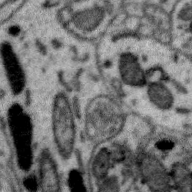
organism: Zebra finch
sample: Brain